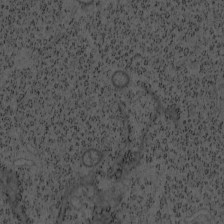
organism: Mouse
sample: OT-I killer T cells with ID8 ovarian cancer cells